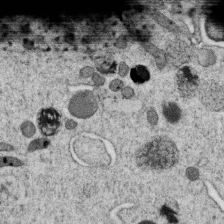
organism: C. elegans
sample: C. elegans oocyte; sperm cells